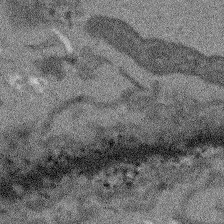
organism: Arabidopsis thaliana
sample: Root tip